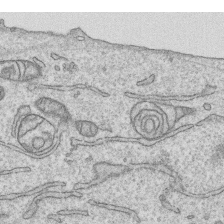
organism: Human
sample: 1205lu cells